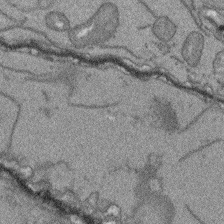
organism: Arabidopsis thaliana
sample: Root tip